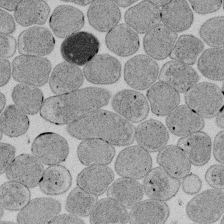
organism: E. coli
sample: Bacterial nucleoid